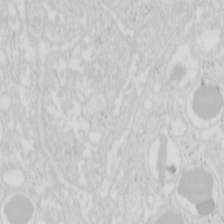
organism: Mouse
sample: Pancreas